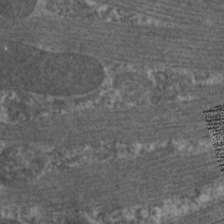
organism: C. elegans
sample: Pharynx